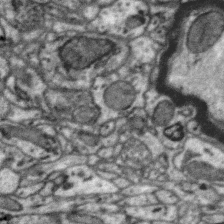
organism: Zebra finch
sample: Brain